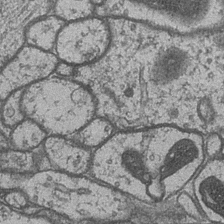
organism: Drosophila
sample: Optic medulla